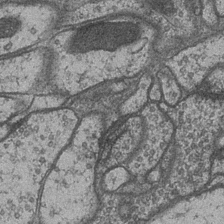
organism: Drosophila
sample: Optic medulla